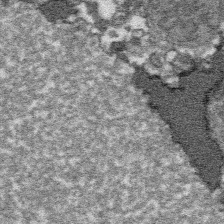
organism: Platynereis dumerilii